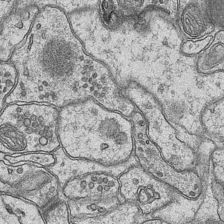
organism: Mouse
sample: CA1 Hippocampus